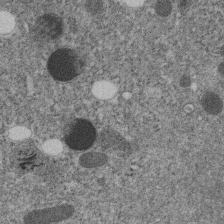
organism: C. elegans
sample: C. elegans embryo early stage